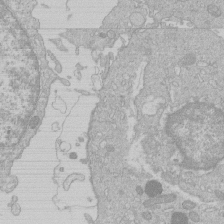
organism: Human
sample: Macrophage cells